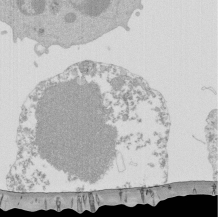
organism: Mouse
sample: Activated Pmel transgenic CD8+ T Cells